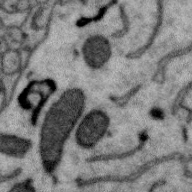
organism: Zebra finch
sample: Brain